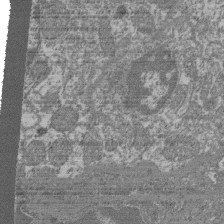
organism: Mouse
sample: Glomerulus